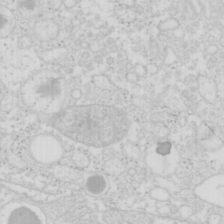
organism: Mouse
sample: Pancreas